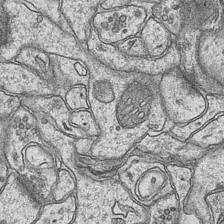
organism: Mouse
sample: CA1 Hippocampus